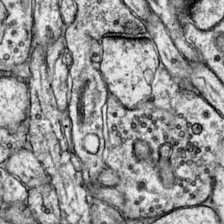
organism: Mouse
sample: Primary visual cortex